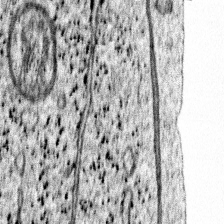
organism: Human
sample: HeLa cells